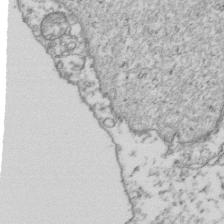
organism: Human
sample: Activated Jurkat CD4+ T cells